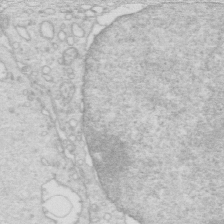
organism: Mouse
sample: Multiciliated cells